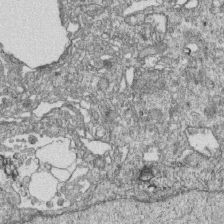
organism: Human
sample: HeLa cell HIV synapse